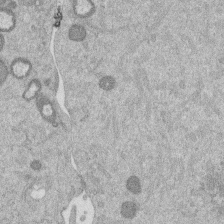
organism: Mouse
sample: Dividing mouse embryo 1 cell stage